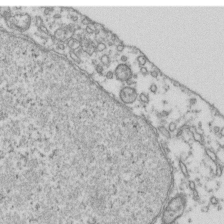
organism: Human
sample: Activated Jurkat CD4+ T cells